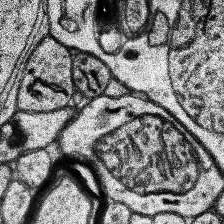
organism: Human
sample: Temporal Lobe